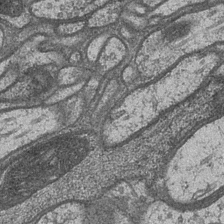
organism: Drosophila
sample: Optic medulla